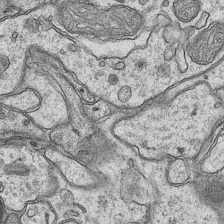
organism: Mouse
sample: CA1 Hippocampus